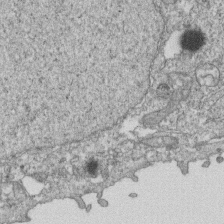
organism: Human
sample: HeLa cell HIV synapse